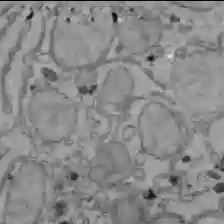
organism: C57BL Mouse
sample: Liver